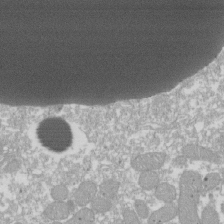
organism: Xenopus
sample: Cilia; centrioles in frog embryo cells